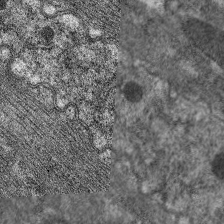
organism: C. elegans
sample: Pharynx